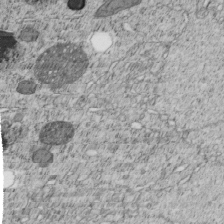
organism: C. elegans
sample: C. elegans embryo early stage